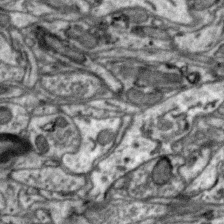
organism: Zebra finch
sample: Brain